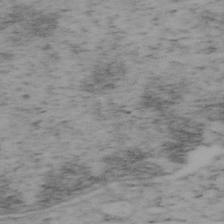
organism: Mouse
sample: OT-I killer T cells with ID8 ovarian cancer cells